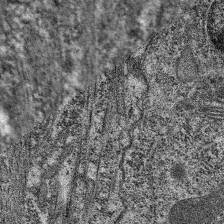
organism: C. elegans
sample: Pharynx